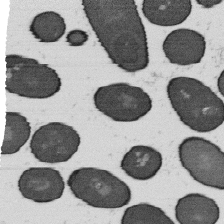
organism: B. subtilis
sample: Bacterial spore